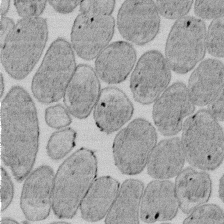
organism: E. coli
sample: Bacterial nucleoid